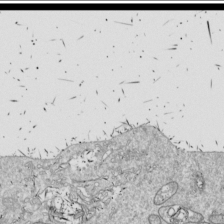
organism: Drosophila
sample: Cell division; meiosis; drosophila spermatocytes